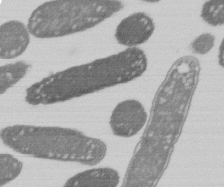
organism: E. coli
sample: Bacterial nucleoid